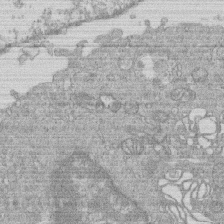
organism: Human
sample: Macrophage cells